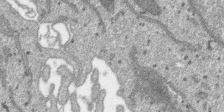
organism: Human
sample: Lung epithelial cells infected with SARS-CoV-2